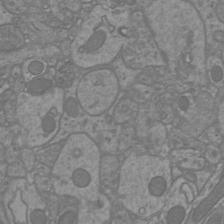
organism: Mouse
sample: Cortical neurons